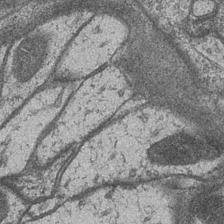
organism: Drosophila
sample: Optic medulla